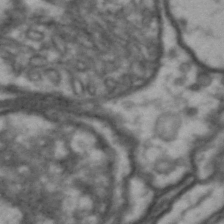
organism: Drosophila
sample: Brain